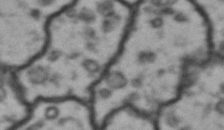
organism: Drosophila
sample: Brain